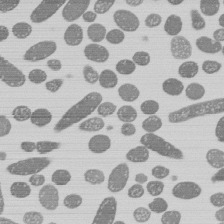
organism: E. coli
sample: Bacterial nucleoid